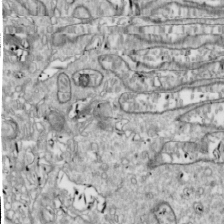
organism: Drosophila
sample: Cell division; meiosis; drosophila spermatocytes